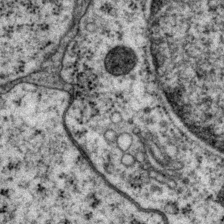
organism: P. pacificus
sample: Pharynx